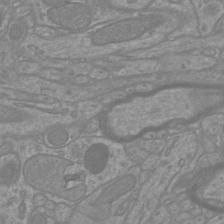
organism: Mouse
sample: Cortical neurons